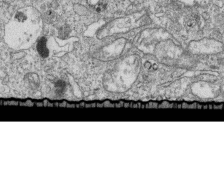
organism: Human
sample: HeLa cell HIV synapse